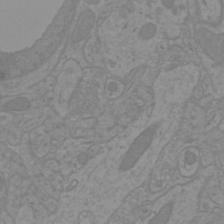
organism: Mouse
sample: Cortical neurons